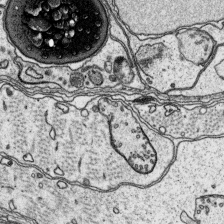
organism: Platynereis dumerilii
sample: Parapodia